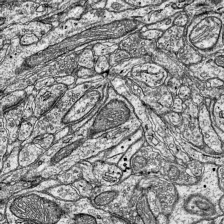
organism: Mouse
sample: Visual Cortex